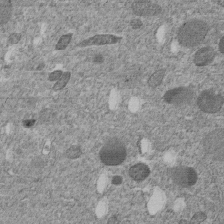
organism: C. elegans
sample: C. elegans embryo early stage